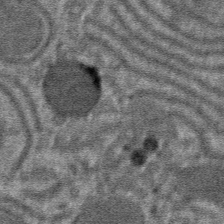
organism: Mouse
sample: Mouse hepatocytes